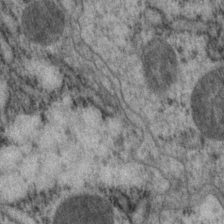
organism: P. pacificus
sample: Pharynx